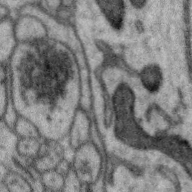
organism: Zebra finch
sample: Brain